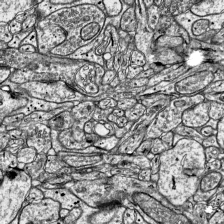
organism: Mouse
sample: Visual Cortex